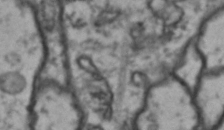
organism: Drosophila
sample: Brain